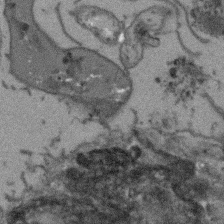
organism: Arabidopsis thaliana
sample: Root tip